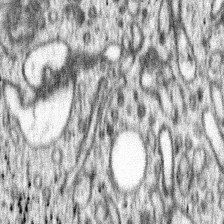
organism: Human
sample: HeLa cells